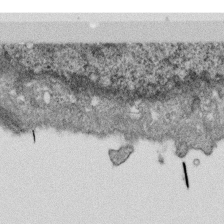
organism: African green monkey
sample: Vero E6 cells infected with SARS-CoV-2